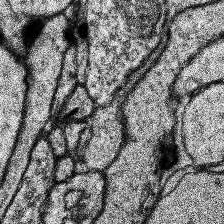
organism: Human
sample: Temporal Lobe